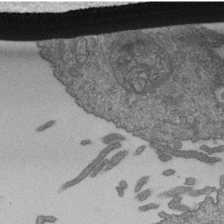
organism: Human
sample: Retinal organoid Rod and Cone cells